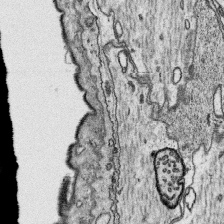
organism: Platynereis dumerilii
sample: Parapodia